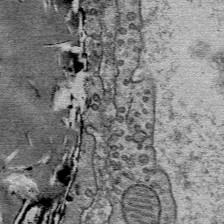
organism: Mouse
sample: Mouse Salivary gland